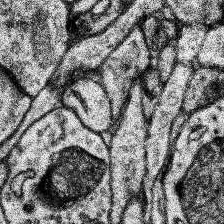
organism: Human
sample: Temporal Lobe